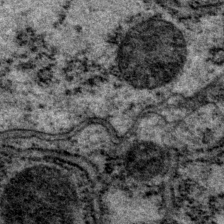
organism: P. pacificus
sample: Pharynx